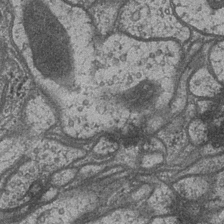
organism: Drosophila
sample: Optic medulla